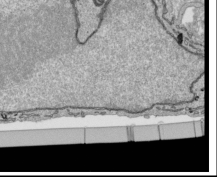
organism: Human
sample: Mitochondria in HCT116 cells